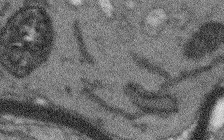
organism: Arabidopsis thaliana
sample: Root tip